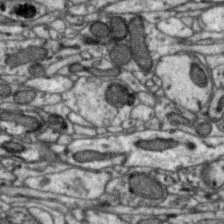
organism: Zebra finch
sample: Brain